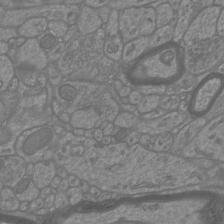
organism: Mouse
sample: Cortical neurons